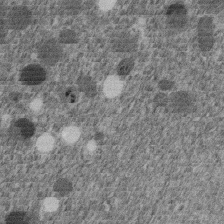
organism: C. elegans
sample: C. elegans embryo early stage